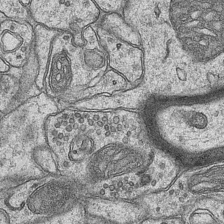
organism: Mouse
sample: CA1 Hippocampus